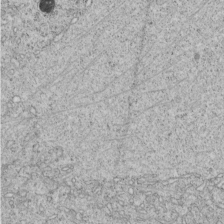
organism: C. elegans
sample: C. elegans embryo early stage